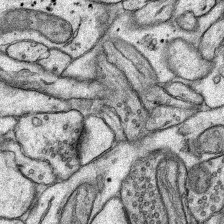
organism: Rat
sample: Hippocampus